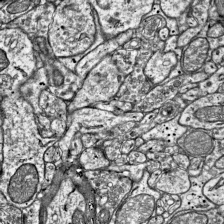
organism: Mouse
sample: Visual Cortex